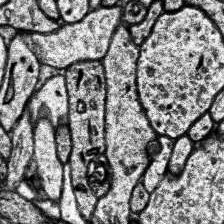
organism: Human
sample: Temporal Lobe